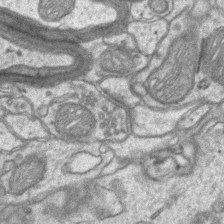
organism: Mouse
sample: CA1 Hippocampus